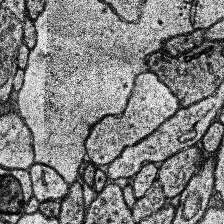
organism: Human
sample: Temporal Lobe